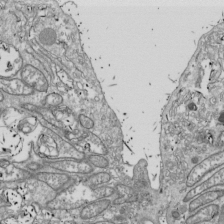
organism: Drosophila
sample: Cell division; meiosis; drosophila spermatocytes